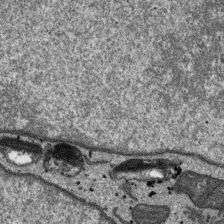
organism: Human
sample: Lung epithelial cells, uninfected (mock) control